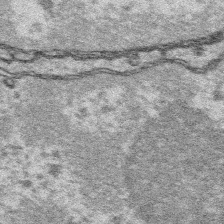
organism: Platynereis dumerilii